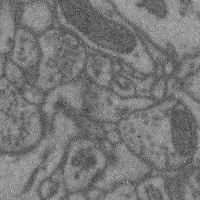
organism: Mouse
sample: Cerebral cortex